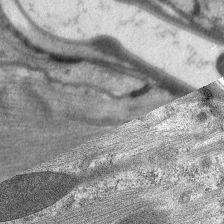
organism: C. elegans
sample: Pharynx